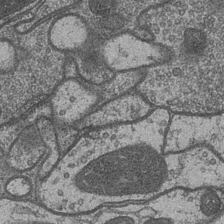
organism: Drosophila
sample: Optic medulla